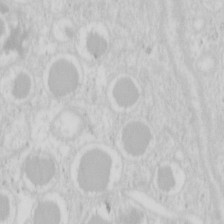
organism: Mouse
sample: Pancreas